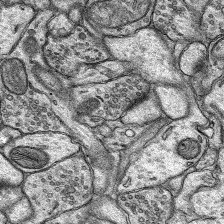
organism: Rat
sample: Hippocampus